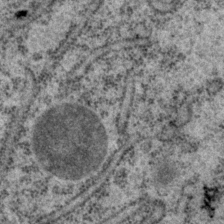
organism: P. pacificus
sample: Pharynx